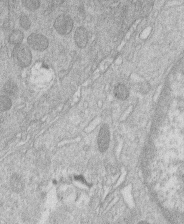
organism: Human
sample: Macrophage cells